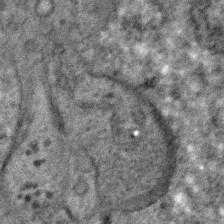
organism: C. elegans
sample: C. elegans embryo